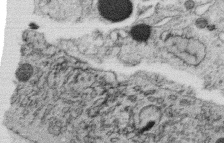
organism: C. elegans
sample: C. elegans oocyte; sperm cells